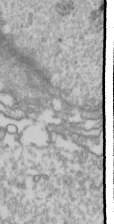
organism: Drosophila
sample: Cell division; meiosis; drosophila spermatocytes